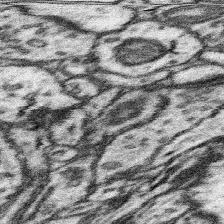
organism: Mouse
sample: Somatosensory cortex neuropil